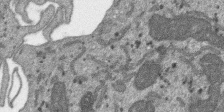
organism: Human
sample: Lung epithelial cells infected with SARS-CoV-2